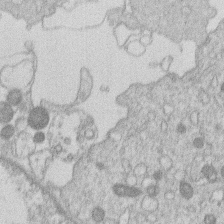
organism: Human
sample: Macrophage cells